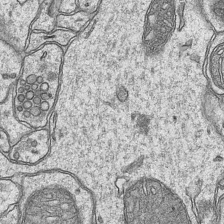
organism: Mouse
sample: CA1 Hippocampus